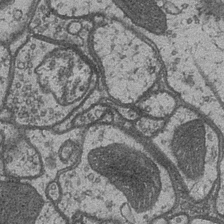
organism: Drosophila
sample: Optic medulla